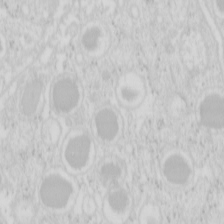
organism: Mouse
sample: Pancreas